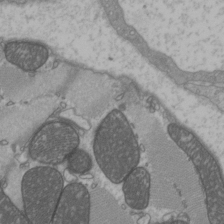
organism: C57BL Mouse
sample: Heart